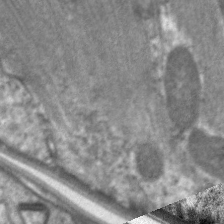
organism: C. elegans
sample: Pharynx